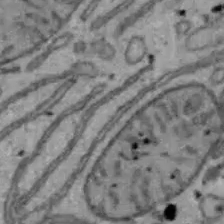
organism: Mouse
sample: Liver